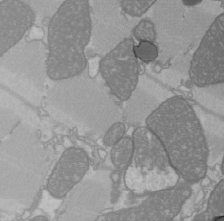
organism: C57BL Mouse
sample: Heart